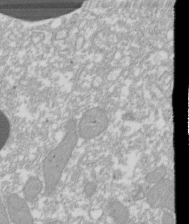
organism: Xenopus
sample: Cilia; centrioles in frog embryo cells